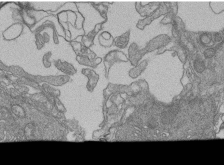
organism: Human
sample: Retinal organoid Rod and Cone cells